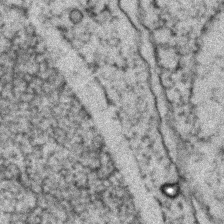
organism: Zebrafish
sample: Zebrafish embryo